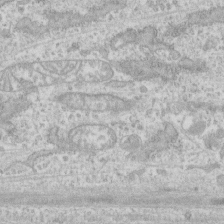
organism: Human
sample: CRL-1474